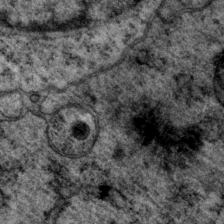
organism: P. pacificus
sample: Pharynx